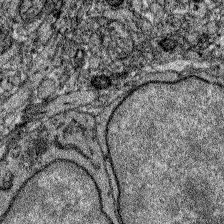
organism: Zebrafish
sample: Larval olfactory bulb